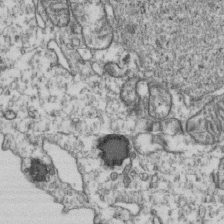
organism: Human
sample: Activated Jurkat CD4+ T cells